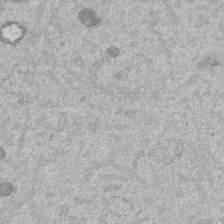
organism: Mouse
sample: Dividing mouse embryo 1 cell stage